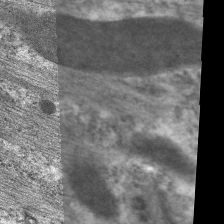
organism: C. elegans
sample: Pharynx